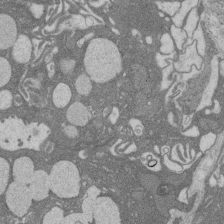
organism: Rat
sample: Salivary granule